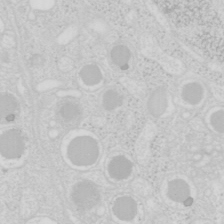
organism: Mouse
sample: Pancreas